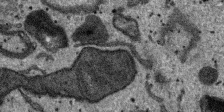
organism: Human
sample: Lung epithelial cells, uninfected (mock) control